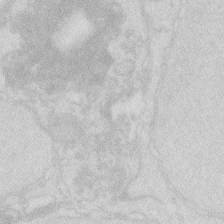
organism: Zebrafish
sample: Macrophage